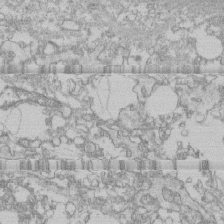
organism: Human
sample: CRL-1474